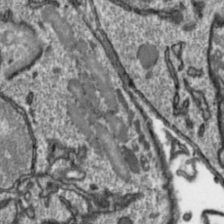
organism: Toxoplasma gondii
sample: Parasites in a vacuole inside a host cell